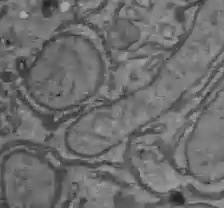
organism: C57BL Mouse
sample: Liver